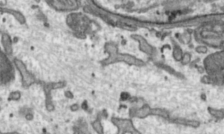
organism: Toxoplasma gondii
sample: Parasites in a vacuole inside a host cell